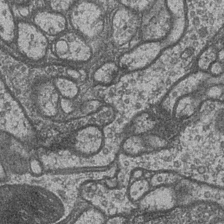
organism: Drosophila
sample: Optic medulla